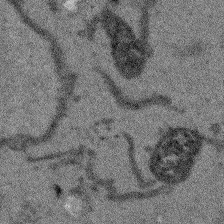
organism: Arabidopsis thaliana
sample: Root tip